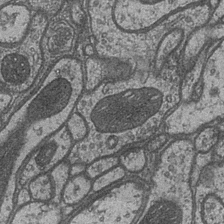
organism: Drosophila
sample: Optic medulla